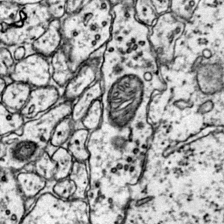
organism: Mouse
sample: Primary visual cortex